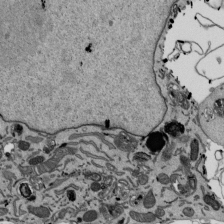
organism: Mouse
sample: ED-1 cell nuclei; centrioles